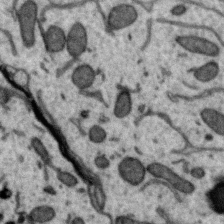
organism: Zebra finch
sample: Brain